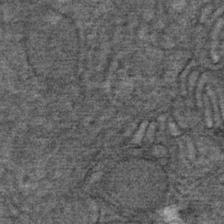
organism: Mouse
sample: Mouse Salivary gland